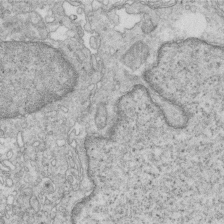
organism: Mouse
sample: Multiciliated cells